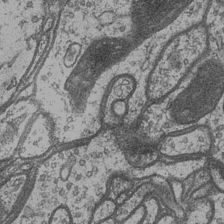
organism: Drosophila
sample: Optic medulla